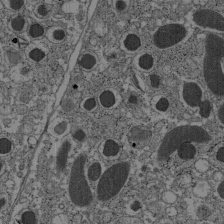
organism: C57BL Mouse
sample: Pancreatic islet